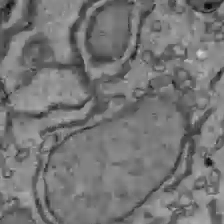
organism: C57BL Mouse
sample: Liver